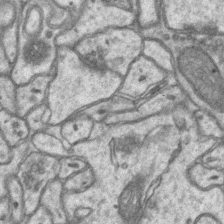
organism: Mouse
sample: CA1 Hippocampus